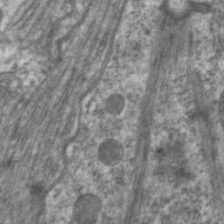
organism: C. elegans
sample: Pharynx